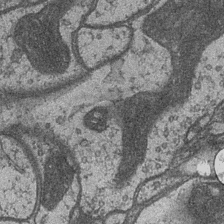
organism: Drosophila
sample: Optic medulla